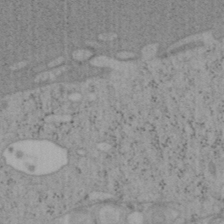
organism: Mouse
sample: OT-I killer T cells with ID8 ovarian cancer cells